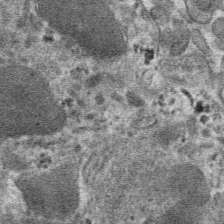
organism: Mouse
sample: Mouse hepatocytes